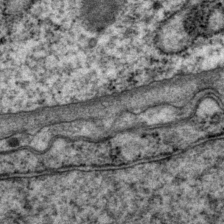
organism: P. pacificus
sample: Pharynx